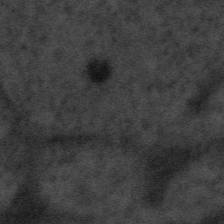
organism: Tuwongella immobilis